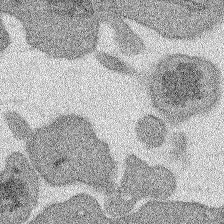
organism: Human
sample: HeLa cells